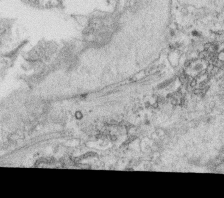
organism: C. elegans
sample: C. elegans oocyte; sperm cells